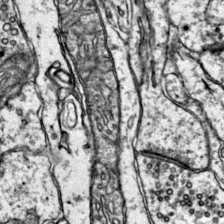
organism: Mouse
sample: Primary visual cortex